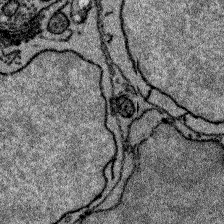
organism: Zebrafish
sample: Larval olfactory bulb